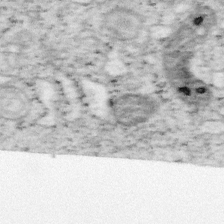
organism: Mouse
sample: OT-I killer T cells with ID8 ovarian cancer cells